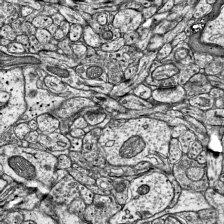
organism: Mouse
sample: Visual Cortex